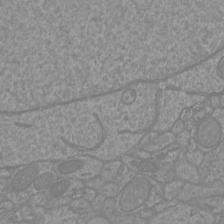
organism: Mouse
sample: Cortical neurons